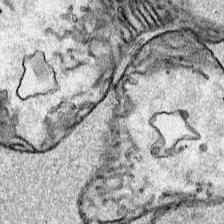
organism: Human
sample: Mitochondria in HCT116 cells